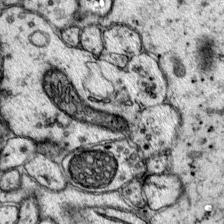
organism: Mouse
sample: Primary visual cortex